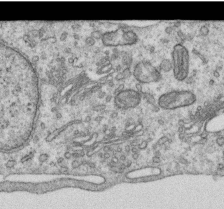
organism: Human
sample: Centriole in RPE cells